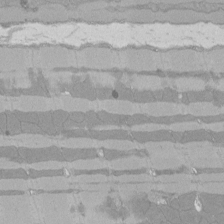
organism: Rat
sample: Left ventricle